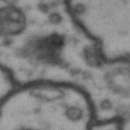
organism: Drosophila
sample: Brain